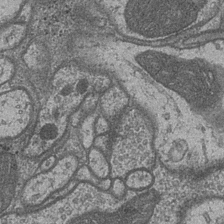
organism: Drosophila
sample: Optic medulla